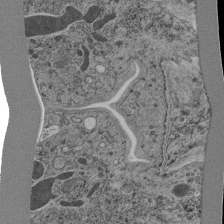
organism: C. elegans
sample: C. elegans pharynx